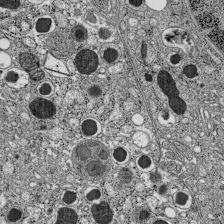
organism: C57BL Mouse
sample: Pancreatic islet